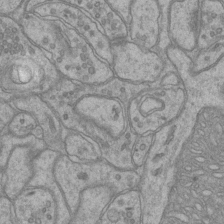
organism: Mouse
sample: CA1 Hippocampus